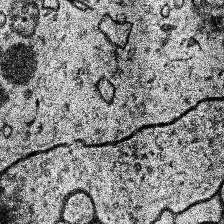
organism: Human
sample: Temporal Lobe